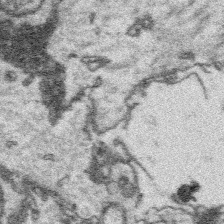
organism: Platynereis dumerilii